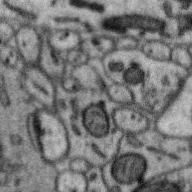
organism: Zebra finch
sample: Brain